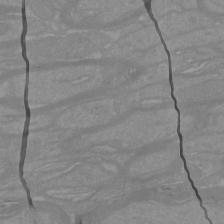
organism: Mouse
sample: Cortical neurons